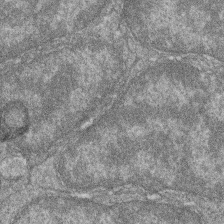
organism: Zebrafish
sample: Cilia; retinal pigment epithelium